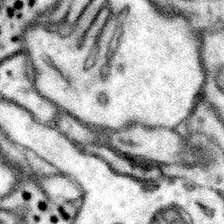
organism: Mouse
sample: Somatosensory cortex neuropil